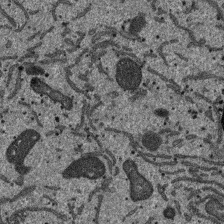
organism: Human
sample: Lung epithelial cells infected with SARS-CoV-2